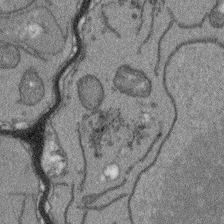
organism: Arabidopsis thaliana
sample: Root tip